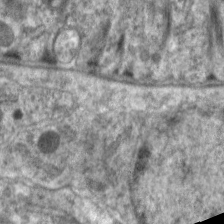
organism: C. elegans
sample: Pharynx